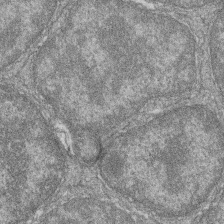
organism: Zebrafish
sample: Cilia; retinal pigment epithelium